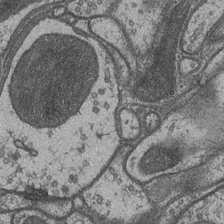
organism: Drosophila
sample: Optic medulla